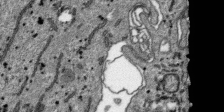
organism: Human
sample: Lung epithelial cells, uninfected (mock) control